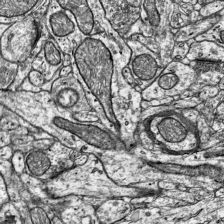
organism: Mouse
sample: Visual Cortex